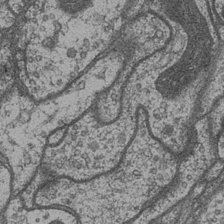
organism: Drosophila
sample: Optic medulla